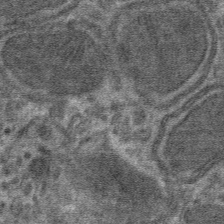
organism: Mouse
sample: Mouse hepatocytes